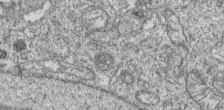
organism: Human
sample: HeLa cell HIV synapse